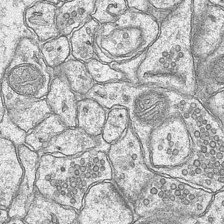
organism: Mouse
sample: CA1 Hippocampus